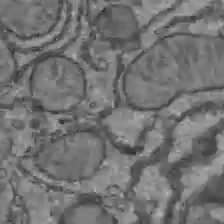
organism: C57BL Mouse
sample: Liver